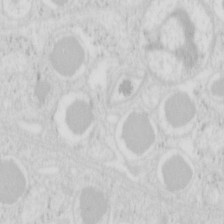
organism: Mouse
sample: Pancreas